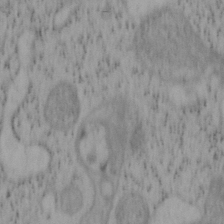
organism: Mouse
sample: OT-I killer T cells with ID8 ovarian cancer cells